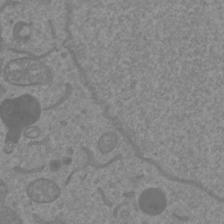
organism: Mouse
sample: Cortical neurons